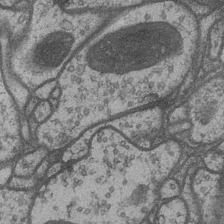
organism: Drosophila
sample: Optic medulla